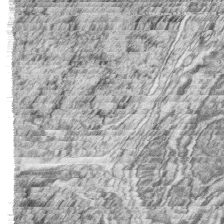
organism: Zebrafish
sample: synaptic ribbons in rod cells and cone cells